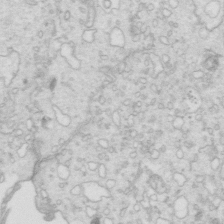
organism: Mouse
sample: Multiciliated cells